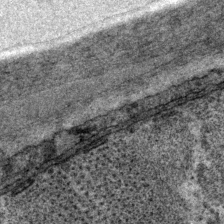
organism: P. pacificus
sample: Pharynx